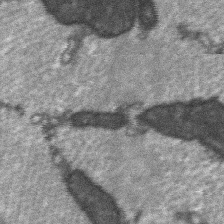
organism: C57BL Mouse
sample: Soleus